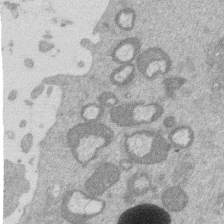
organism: Mouse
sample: Dividing mouse embryo 1 cell stage